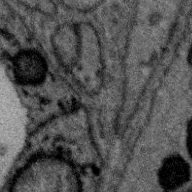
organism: Zebra finch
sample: Brain